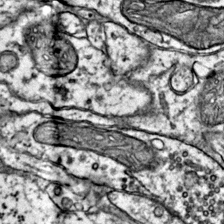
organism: Mouse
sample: Primary visual cortex